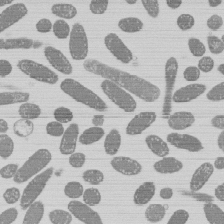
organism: E. coli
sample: Bacterial nucleoid